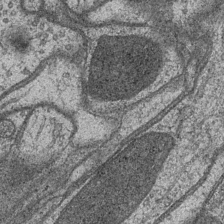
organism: Drosophila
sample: Optic medulla